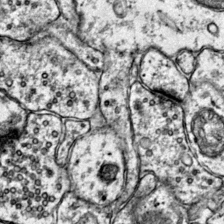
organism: Mouse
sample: Primary visual cortex